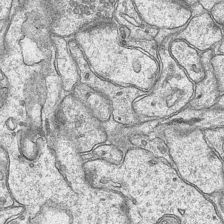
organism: Mouse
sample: CA1 Hippocampus